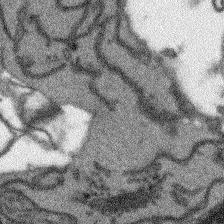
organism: Arabidopsis thaliana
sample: Root tip